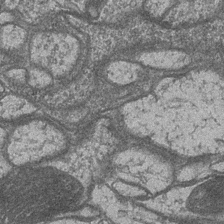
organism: Drosophila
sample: Optic medulla